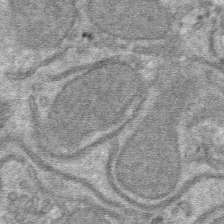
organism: Mouse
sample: Mouse hepatocytes